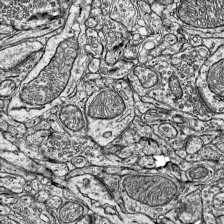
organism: Mouse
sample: Visual Cortex